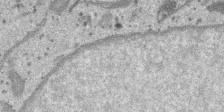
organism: Human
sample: Lung epithelial cells infected with SARS-CoV-2